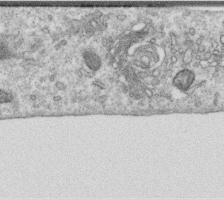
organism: Human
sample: Centriole in RPE cells